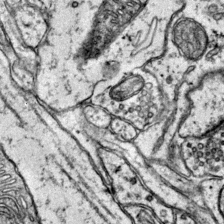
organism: Mouse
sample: Primary visual cortex